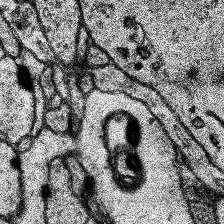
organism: Human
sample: Temporal Lobe